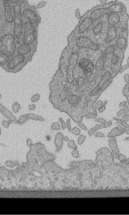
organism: Human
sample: Retinal organoid Rod and Cone cells